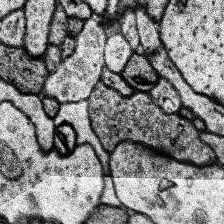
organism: Human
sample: Temporal Lobe